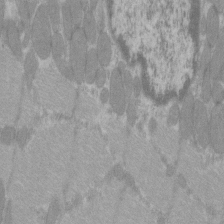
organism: C57BL Mouse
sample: Tibialis anterior muscle cell